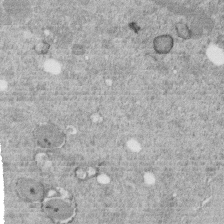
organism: C. elegans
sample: C. elegans embryo early stage